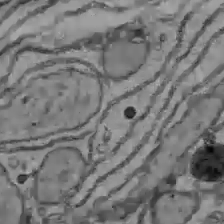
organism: C57BL Mouse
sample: Liver